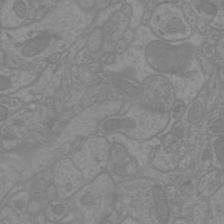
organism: Mouse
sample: Cortical neurons